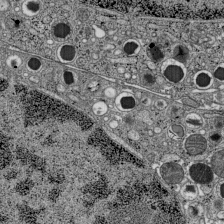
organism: C57BL Mouse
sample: Pancreatic islet